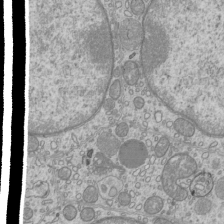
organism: Mouse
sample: Cilia; mouse epididymis